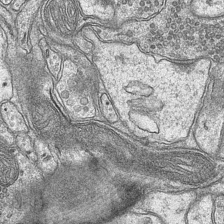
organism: Mouse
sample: CA1 Hippocampus